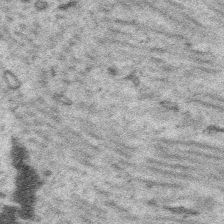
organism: Platynereis dumerilii